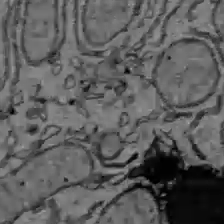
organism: C57BL Mouse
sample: Liver